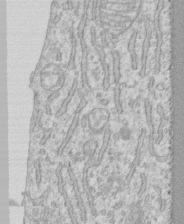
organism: Human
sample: CRL-1474